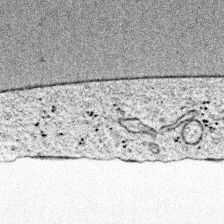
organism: Human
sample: HeLa cells